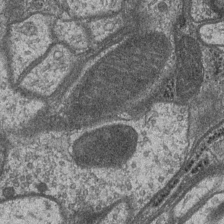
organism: Drosophila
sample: Optic medulla